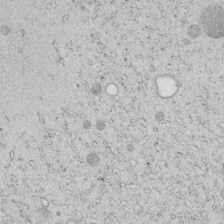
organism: C. elegans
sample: C. elegans embryo early stage